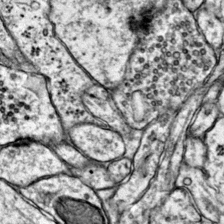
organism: Mouse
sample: Primary visual cortex